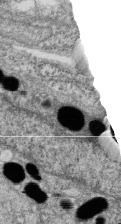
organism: Zebrafish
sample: Cilia; retinal pigment epithelium